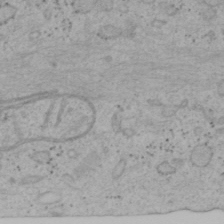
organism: Human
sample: HeLa cells